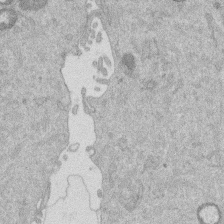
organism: Mouse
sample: Dividing mouse embryo 1 cell stage